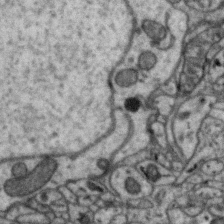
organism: Zebra finch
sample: Brain